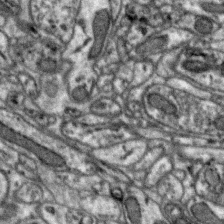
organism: Zebra finch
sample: Brain